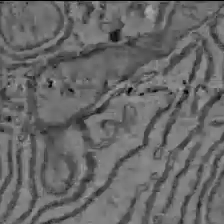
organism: C57BL Mouse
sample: Liver